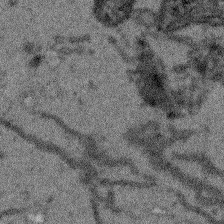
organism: Arabidopsis thaliana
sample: Root tip